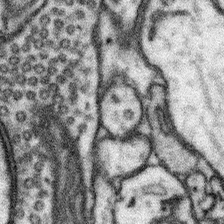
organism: Mouse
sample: Somatosensory cortex neuropil